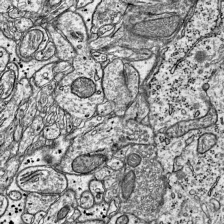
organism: Mouse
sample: Visual Cortex